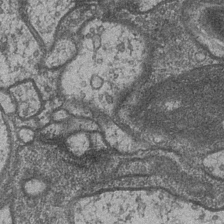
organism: Drosophila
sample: Optic medulla